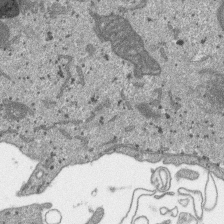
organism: Human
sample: Lung epithelial cells infected with SARS-CoV-2